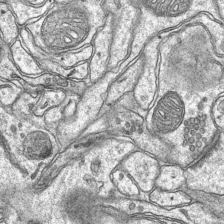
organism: Mouse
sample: CA1 Hippocampus